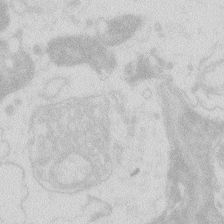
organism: Zebrafish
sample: Macrophage